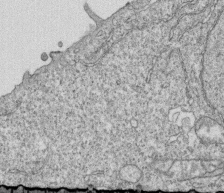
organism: Human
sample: HeLa cell HIV synapse